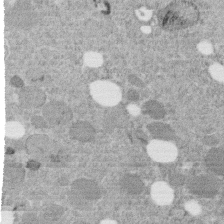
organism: C. elegans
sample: C. elegans embryo early stage